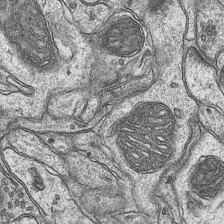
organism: Mouse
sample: CA1 Hippocampus